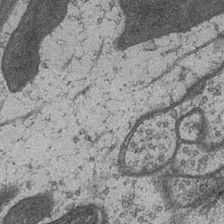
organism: Drosophila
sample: Optic medulla